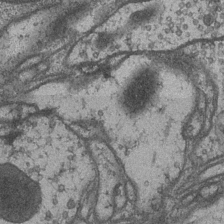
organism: Drosophila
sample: Optic medulla